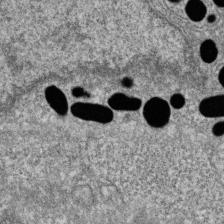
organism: Zebrafish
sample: Cilia; retinal pigment epithelium